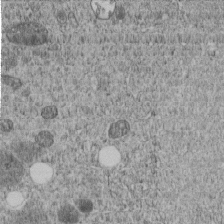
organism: C. elegans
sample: C. elegans embryo early stage